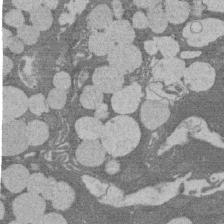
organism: Rat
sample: Salivary granule